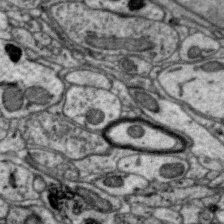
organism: Zebra finch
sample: Brain